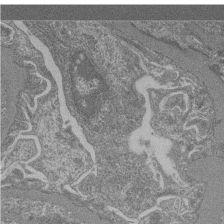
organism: Mouse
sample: Glomerulus